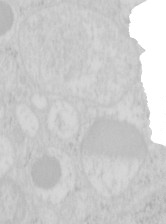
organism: Mouse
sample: Pancreas